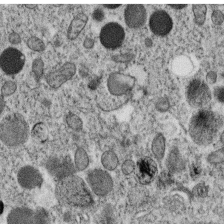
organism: C. elegans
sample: C. elegans oocyte; sperm cells